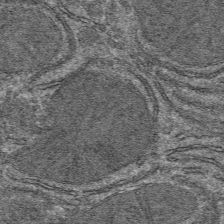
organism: Mouse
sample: Mouse hepatocytes